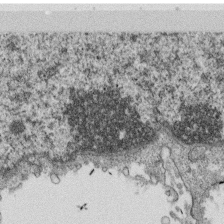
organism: African green monkey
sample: Vero E6 cells infected with SARS-CoV-2